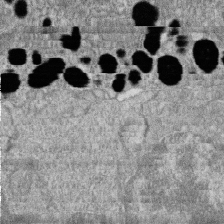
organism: Zebrafish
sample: Cilia; retinal pigment epithelium